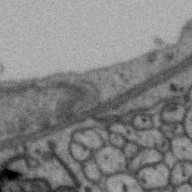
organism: Zebra finch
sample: Brain